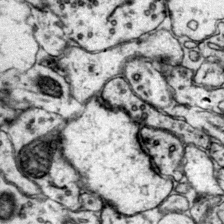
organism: Mouse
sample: Primary visual cortex